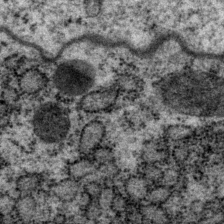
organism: P. pacificus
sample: Pharynx